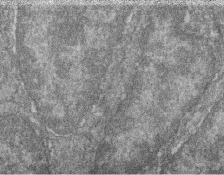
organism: Zebrafish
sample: Cilia; retinal pigment epithelium